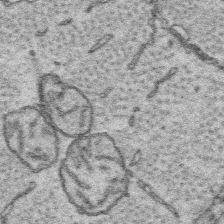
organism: Platynereis dumerilii